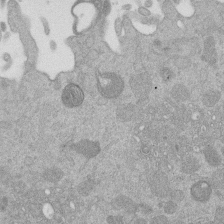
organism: Mouse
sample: Dividing mouse embryo 1 cell stage